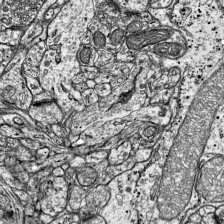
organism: Mouse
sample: Visual Cortex